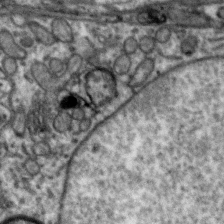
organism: Zebra finch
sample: Brain